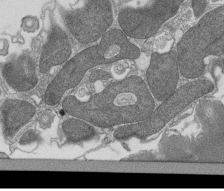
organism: Tetrahymena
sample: Cilia in tetrahymena